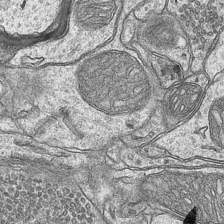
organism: Mouse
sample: CA1 Hippocampus